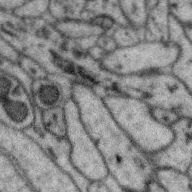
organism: Zebra finch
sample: Brain